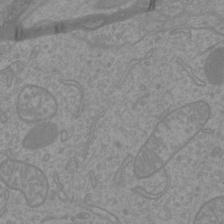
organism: Mouse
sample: Cortical neurons